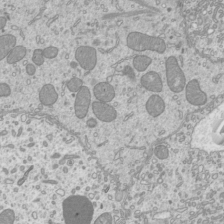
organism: Mouse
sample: Cilia; mouse epididymis